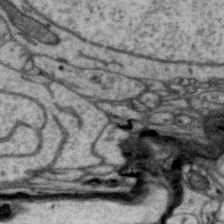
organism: Zebra finch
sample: Brain